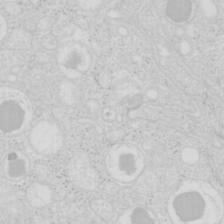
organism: Mouse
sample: Pancreas